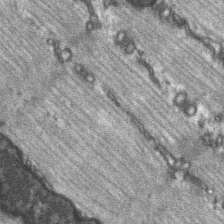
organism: C57BL Mouse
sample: Soleus